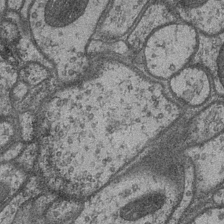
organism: Drosophila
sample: Optic medulla